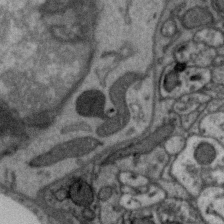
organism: Zebra finch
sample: Brain